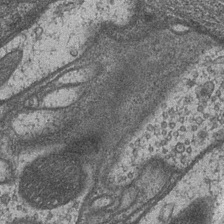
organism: Drosophila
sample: Optic medulla